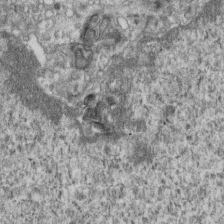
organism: Mouse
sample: Centriole in ependymal cells